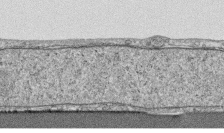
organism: Human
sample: CRL-1474